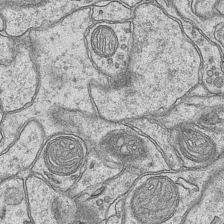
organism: Mouse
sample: CA1 Hippocampus